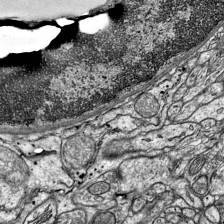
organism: Mouse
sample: Visual Cortex